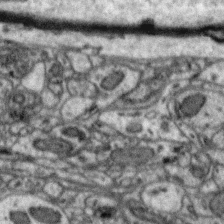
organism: Zebra finch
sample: Brain